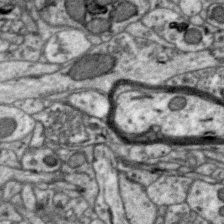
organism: Zebra finch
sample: Brain